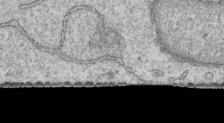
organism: Human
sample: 1205lu cells